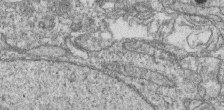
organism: Human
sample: HeLa cell HIV synapse